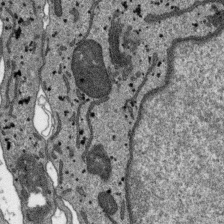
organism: Human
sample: Lung epithelial cells, uninfected (mock) control